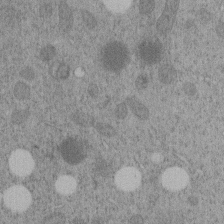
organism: C. elegans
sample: C. elegans embryo early stage